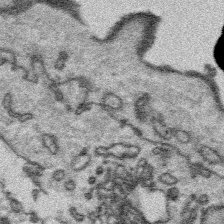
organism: Platynereis dumerilii